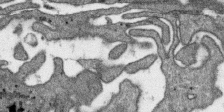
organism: Human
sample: Lung epithelial cells, uninfected (mock) control